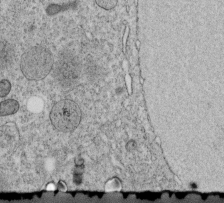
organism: C. elegans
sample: C. elegans embryo early stage